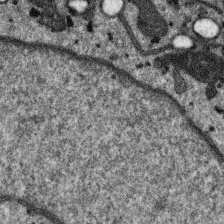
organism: Human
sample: Lung epithelial cells infected with SARS-CoV-2